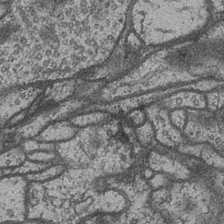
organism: Drosophila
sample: Optic medulla